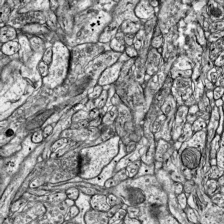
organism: Mouse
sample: Visual Cortex